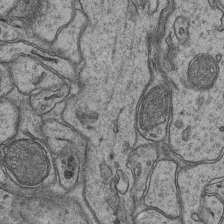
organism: Mouse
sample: CA1 Hippocampus